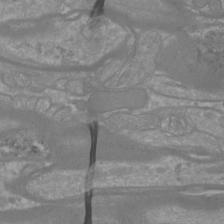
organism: Mouse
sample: Cortical neurons